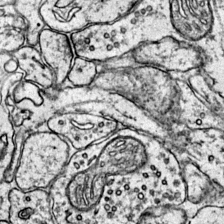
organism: Mouse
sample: Primary visual cortex